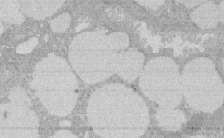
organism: Rat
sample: Salivary granule